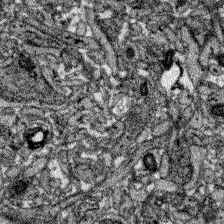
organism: Zebrafish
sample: Larval olfactory bulb